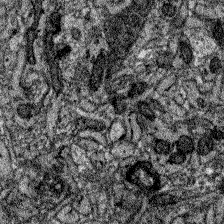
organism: Zebrafish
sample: Larval olfactory bulb